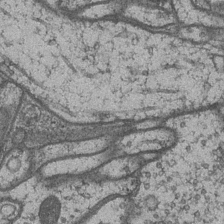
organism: Drosophila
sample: Optic medulla